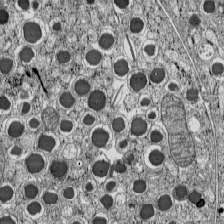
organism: C57BL Mouse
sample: Pancreatic islet